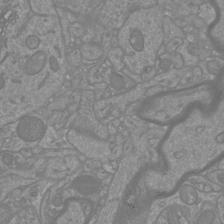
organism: Mouse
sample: Cortical neurons